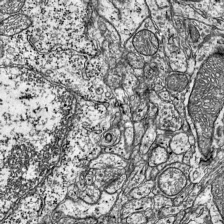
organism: Mouse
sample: Visual Cortex